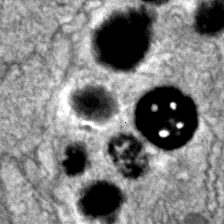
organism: Zebrafish